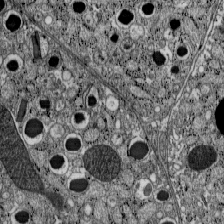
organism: C57BL Mouse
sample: Pancreatic islet